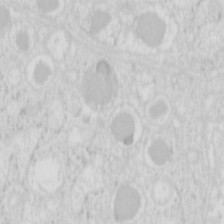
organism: Mouse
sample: Pancreas